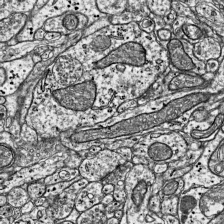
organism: Mouse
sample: Visual Cortex